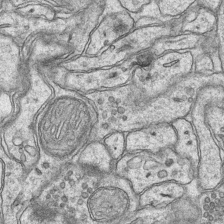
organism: Mouse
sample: CA1 Hippocampus